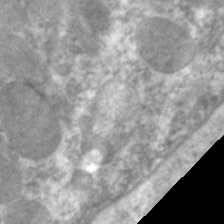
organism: C. elegans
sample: Pharynx